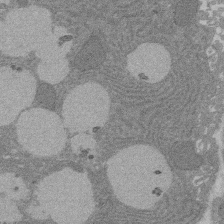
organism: Rat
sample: Salivary granule